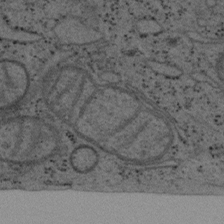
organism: Human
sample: HeLa cells